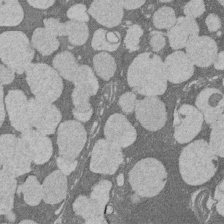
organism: Rat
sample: Salivary granule